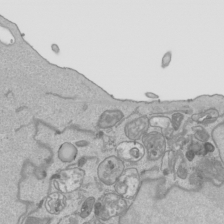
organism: Human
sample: Mitochondria in HCT116 cells